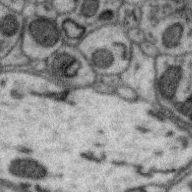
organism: Zebra finch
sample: Brain